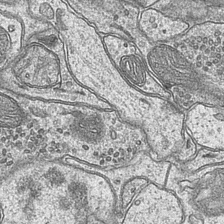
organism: Mouse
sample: CA1 Hippocampus